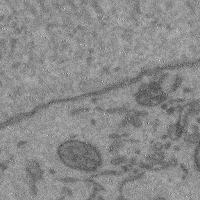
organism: Mouse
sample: Cerebral cortex